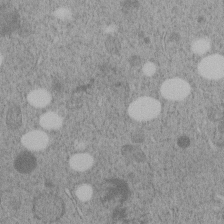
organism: C. elegans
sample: C. elegans embryo early stage